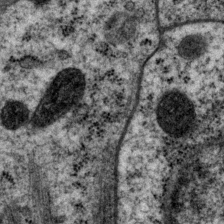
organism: P. pacificus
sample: Pharynx